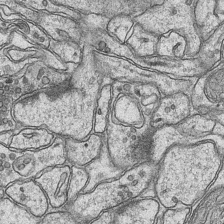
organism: Mouse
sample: CA1 Hippocampus